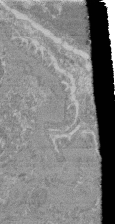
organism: Mouse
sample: Glomerulus